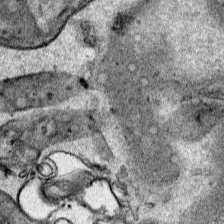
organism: Human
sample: Mitochondria in HCT116 cells